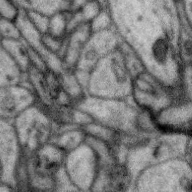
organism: Zebra finch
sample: Brain